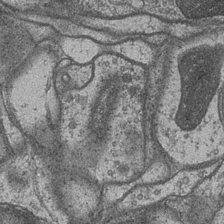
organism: Drosophila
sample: Optic medulla